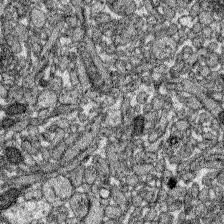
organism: Zebrafish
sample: Larval olfactory bulb